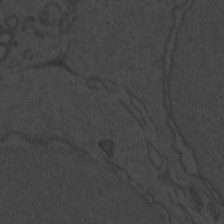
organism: Zebrafish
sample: Macrophage infected with Toxoplasma gondii